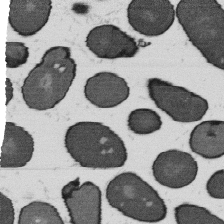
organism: B. subtilis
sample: Bacterial spore